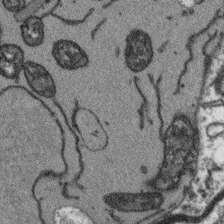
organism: Arabidopsis thaliana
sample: Root tip